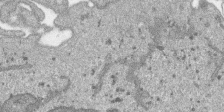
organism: Human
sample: Lung epithelial cells infected with SARS-CoV-2